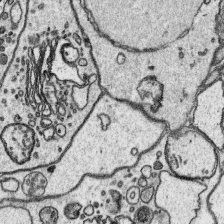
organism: Platynereis dumerilii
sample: Parapodia